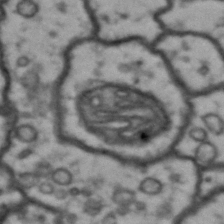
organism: Drosophila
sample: Brain